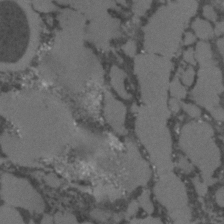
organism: C. elegans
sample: C. elegans embryo